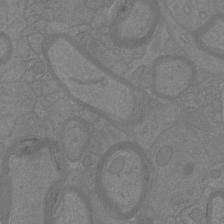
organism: Mouse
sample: Cortical neurons